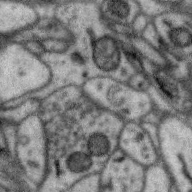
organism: Zebra finch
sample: Brain